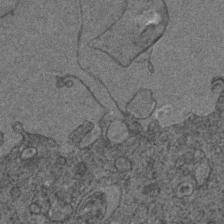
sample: Trachea